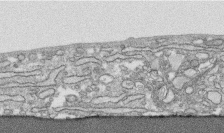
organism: Human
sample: CRL-1474